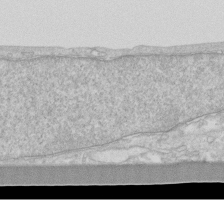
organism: Human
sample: Fibroblast cells